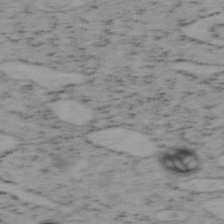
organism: Mouse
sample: OT-I killer T cells with ID8 ovarian cancer cells